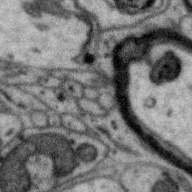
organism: Zebra finch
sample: Brain